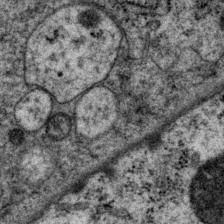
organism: P. pacificus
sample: Pharynx